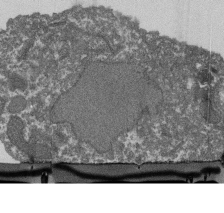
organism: Dictyostelium discoideum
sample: Dictyostelium multivesicular bodies